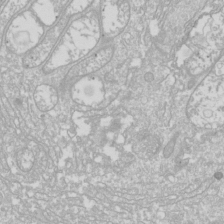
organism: Drosophila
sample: Cell division; meiosis; drosophila spermatocytes